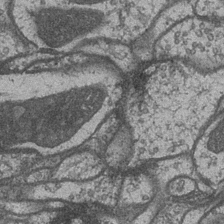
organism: Drosophila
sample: Optic medulla